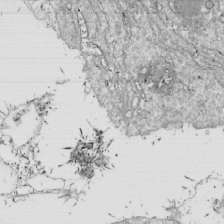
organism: Drosophila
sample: Cell division; meiosis; drosophila spermatocytes